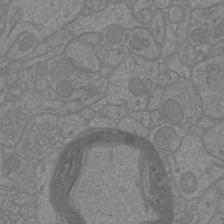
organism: Mouse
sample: Cortical neurons